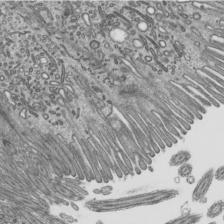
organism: Mouse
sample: Mouse epididymis efferent ductule cilia